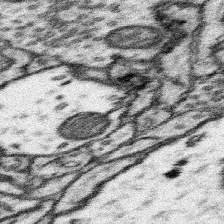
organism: Mouse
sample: Somatosensory cortex neuropil